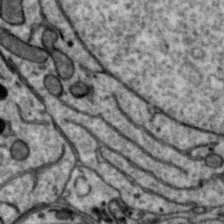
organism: Zebra finch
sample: Brain